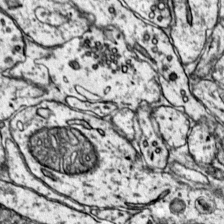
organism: Mouse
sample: Primary visual cortex